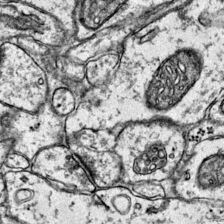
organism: Mouse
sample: Primary visual cortex